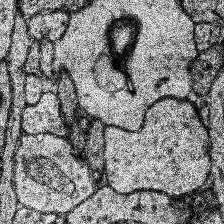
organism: Human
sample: Temporal Lobe